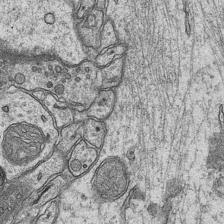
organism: Mouse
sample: CA1 Hippocampus